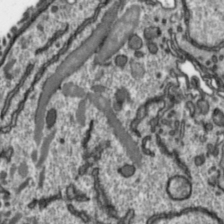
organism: Toxoplasma gondii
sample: Parasites in a vacuole inside a host cell